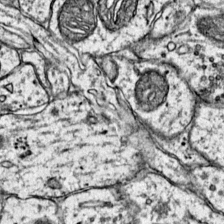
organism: Mouse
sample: Primary visual cortex